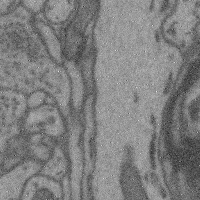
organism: Mouse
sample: Cerebral cortex